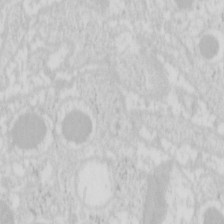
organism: Mouse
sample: Pancreas